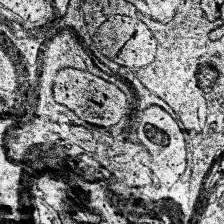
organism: Human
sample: Temporal Lobe